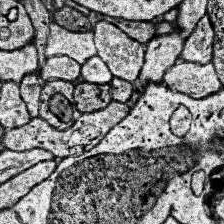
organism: Human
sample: Temporal Lobe